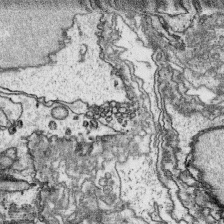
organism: Platynereis dumerilii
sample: Parapodia